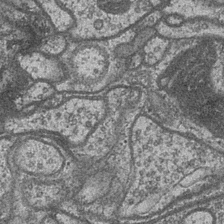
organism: Drosophila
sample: Optic medulla